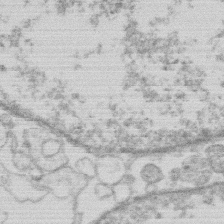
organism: Human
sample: Macrophage cells